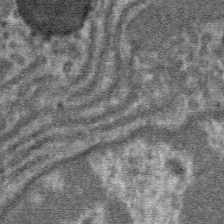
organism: Mouse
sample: Mouse hepatocytes